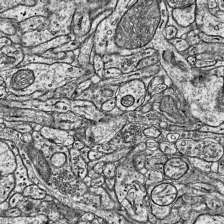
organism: Mouse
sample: Visual Cortex